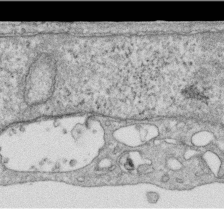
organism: Human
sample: Centriole in RPE cells